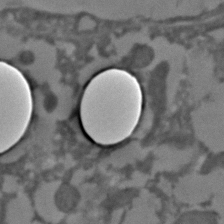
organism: C. elegans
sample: C. elegans embryo